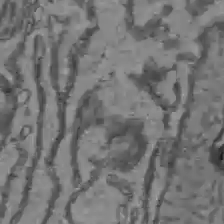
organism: C57BL Mouse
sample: Liver